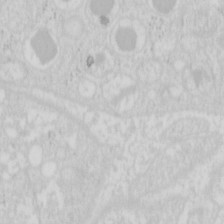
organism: Mouse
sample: Pancreas